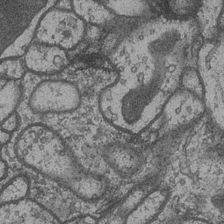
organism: Drosophila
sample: Optic medulla